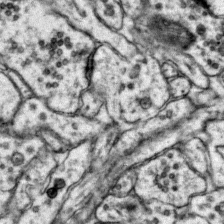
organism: Mouse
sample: Primary visual cortex